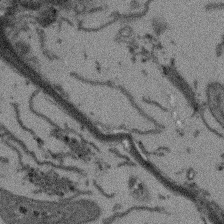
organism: Arabidopsis thaliana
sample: Root tip